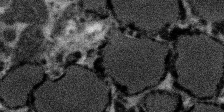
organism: Human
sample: Lung epithelial cells infected with SARS-CoV-2